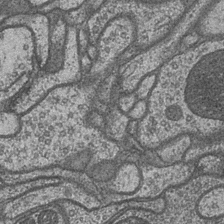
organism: Drosophila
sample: Optic medulla